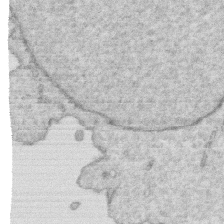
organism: Human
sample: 1205lu cells